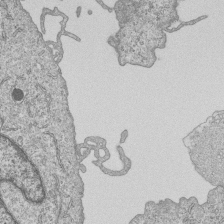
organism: Human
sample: MDA-MB-231 cells